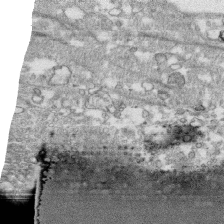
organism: Human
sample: CRL-1474